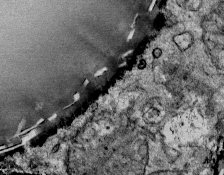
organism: Mouse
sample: Mouse Salivary gland